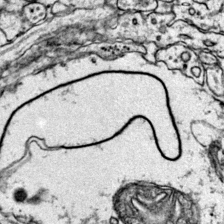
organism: Mouse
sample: Primary visual cortex